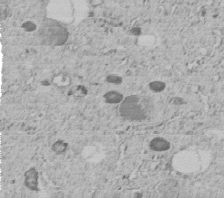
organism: C. elegans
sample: C. elegans embryo early stage